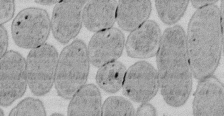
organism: E. coli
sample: Bacterial nucleoid